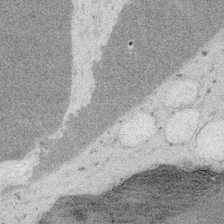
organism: Embia sp.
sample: Silk gland